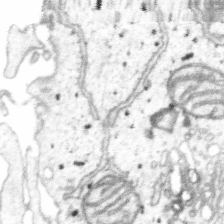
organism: Human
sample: HeLa cells